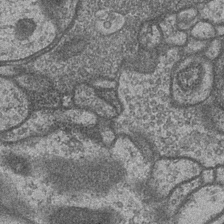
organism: Drosophila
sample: Optic medulla